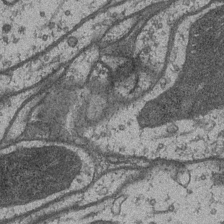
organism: Drosophila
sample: Optic medulla